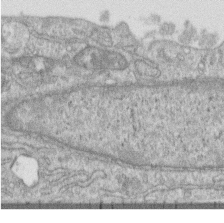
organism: Human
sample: Centriole in RPE cells